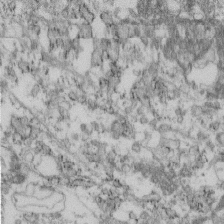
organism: Mouse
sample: Cilia; retinal pigment epithelium